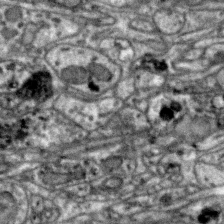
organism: Zebra finch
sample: Brain